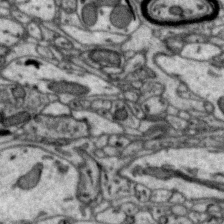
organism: Zebra finch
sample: Brain